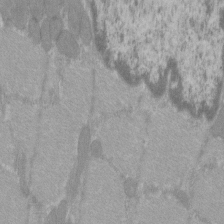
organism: C57BL Mouse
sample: Tibialis anterior muscle cell